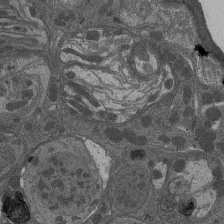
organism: Drosophila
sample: Antenna